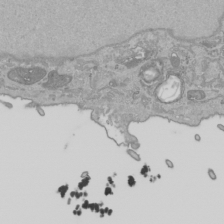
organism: Human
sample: Mitochondria in HCT116 cells